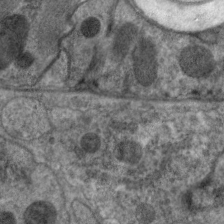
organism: C. elegans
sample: Pharynx